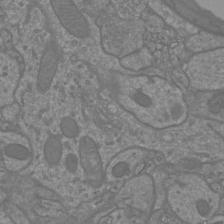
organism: Mouse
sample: Cortical neurons